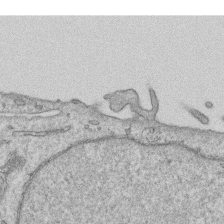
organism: Human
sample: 1205lu cells